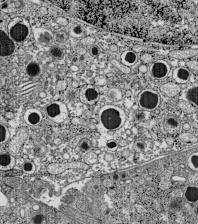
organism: C57BL Mouse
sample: Pancreatic islet